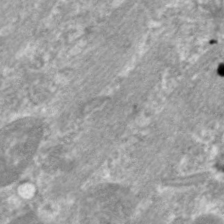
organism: C. elegans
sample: Pharynx